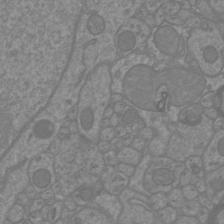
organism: Mouse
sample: Cortical neurons